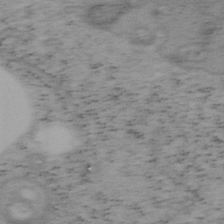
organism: Mouse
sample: OT-I killer T cells with ID8 ovarian cancer cells